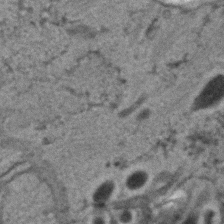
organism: C. elegans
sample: C. elegans embryo